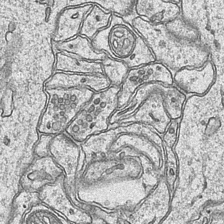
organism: Mouse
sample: CA1 Hippocampus